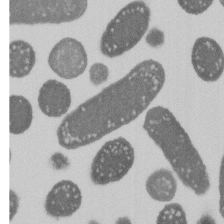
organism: E. coli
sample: Bacterial nucleoid